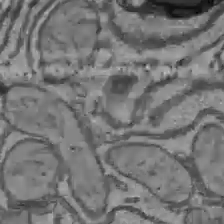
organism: C57BL Mouse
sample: Liver